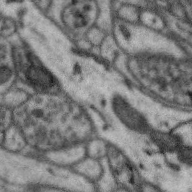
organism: Zebra finch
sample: Brain